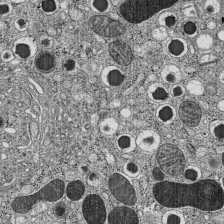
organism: C57BL Mouse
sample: Pancreatic islet